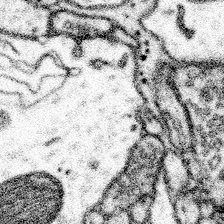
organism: Mouse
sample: Somatosensory cortex neuropil